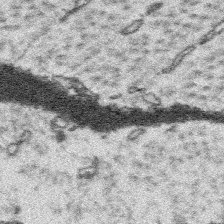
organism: Platynereis dumerilii